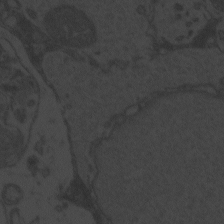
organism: Zebrafish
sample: Macrophage infected with Toxoplasma gondii